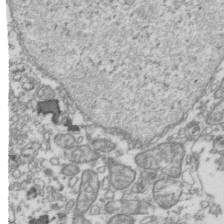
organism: Human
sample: Activated Jurkat CD4+ T cells